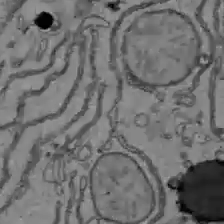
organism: C57BL Mouse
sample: Liver